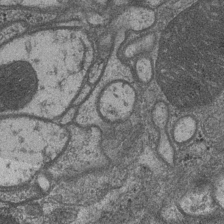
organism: Drosophila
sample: Optic medulla